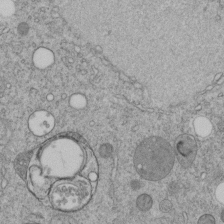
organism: C. elegans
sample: C. elegans embryo early stage